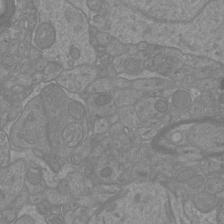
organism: Mouse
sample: Cortical neurons